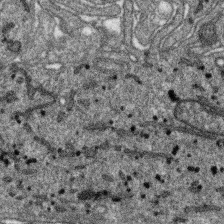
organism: Human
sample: Lung epithelial cells infected with SARS-CoV-2